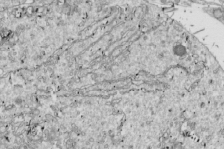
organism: Drosophila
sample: Cell division; meiosis; drosophila spermatocytes